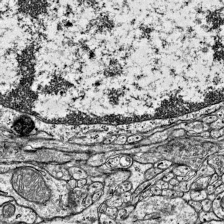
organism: Mouse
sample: Visual Cortex